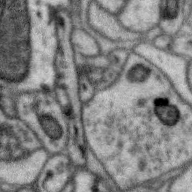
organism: Zebra finch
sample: Brain